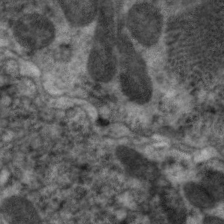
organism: C. elegans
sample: Pharynx